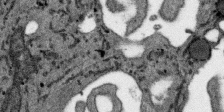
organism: Human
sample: Lung epithelial cells, uninfected (mock) control